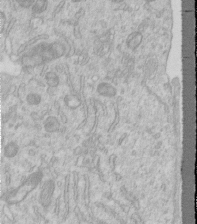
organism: Human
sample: Centriole in RPE cells